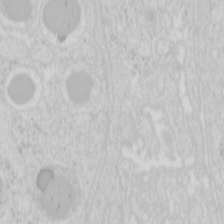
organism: Mouse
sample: Pancreas